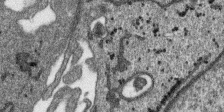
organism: Human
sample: Lung epithelial cells infected with SARS-CoV-2